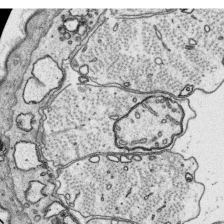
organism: Platynereis dumerilii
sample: Parapodia